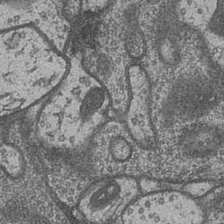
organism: Drosophila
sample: Optic medulla